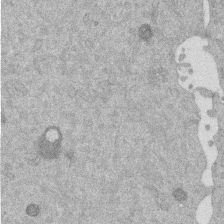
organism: Mouse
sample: Dividing mouse embryo 1 cell stage